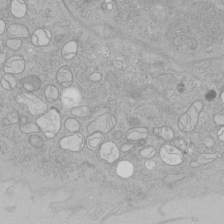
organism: Human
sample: Mitochondria in HCT116 cells